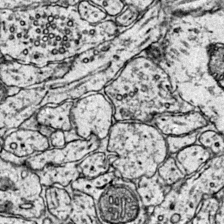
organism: Mouse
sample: Primary visual cortex